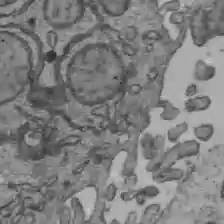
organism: C57BL Mouse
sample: Liver